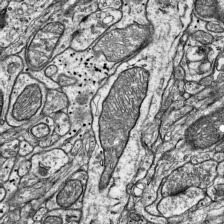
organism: Mouse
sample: Visual Cortex